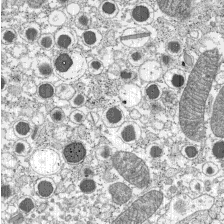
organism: C57BL Mouse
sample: Pancreatic islet